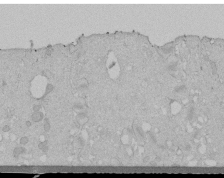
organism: Human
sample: Melanocyte Keratinocyte synapse skin construct